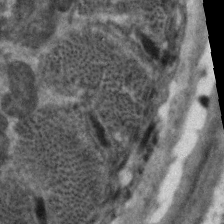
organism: C. elegans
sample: Pharynx